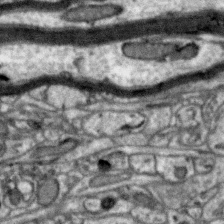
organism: Zebra finch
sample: Brain